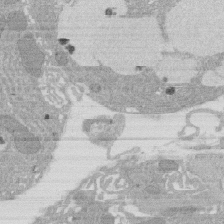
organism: Rat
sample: Salivary granule